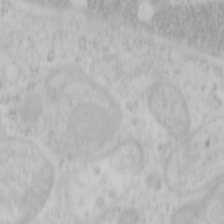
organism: Mouse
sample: OT-I killer T cells with ID8 ovarian cancer cells